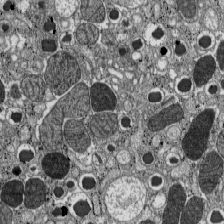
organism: C57BL Mouse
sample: Pancreatic islet